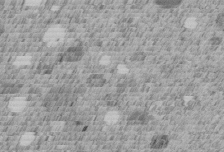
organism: C. elegans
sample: C. elegans embryo early stage